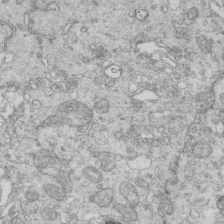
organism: Mouse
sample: Multiciliated cells